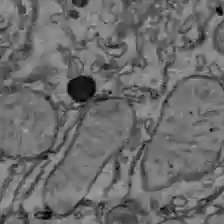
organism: C57BL Mouse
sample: Liver